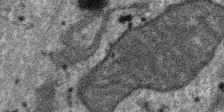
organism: Human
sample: Lung epithelial cells infected with SARS-CoV-2